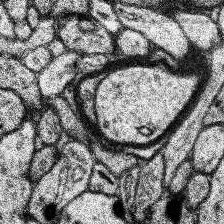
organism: Human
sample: Temporal Lobe